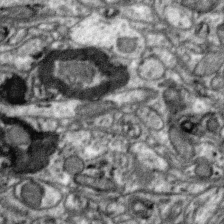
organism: Zebra finch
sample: Brain